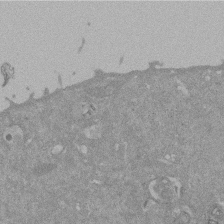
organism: Mouse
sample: ED-1 cell nuclei; centrioles